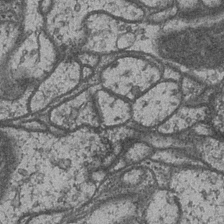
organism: Drosophila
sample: Optic medulla